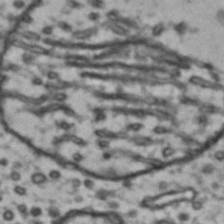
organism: Drosophila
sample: Brain